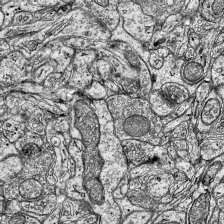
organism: Mouse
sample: Visual Cortex